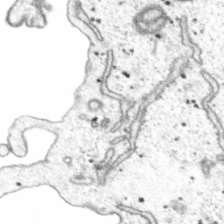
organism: Human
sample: HeLa cells